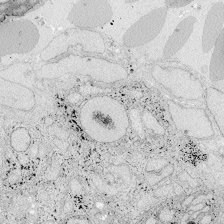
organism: Zebrafish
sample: Whole-Brain